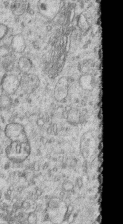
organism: Human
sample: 1205lu cells